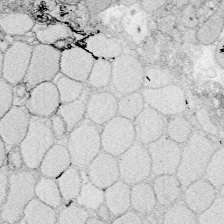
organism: Zebrafish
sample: Whole-Brain